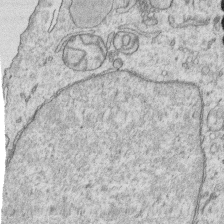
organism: Human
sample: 1205lu cells